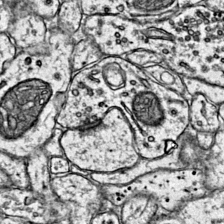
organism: Mouse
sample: Primary visual cortex